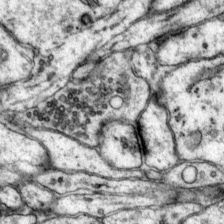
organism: Mouse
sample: Primary visual cortex